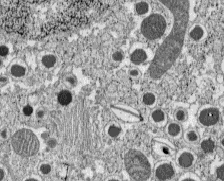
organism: C57BL Mouse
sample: Pancreatic islet